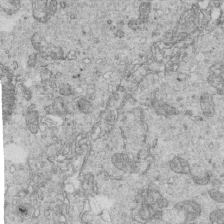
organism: Mouse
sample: Multiciliated cells